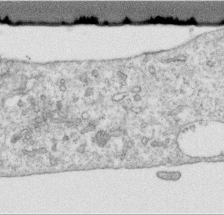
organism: Human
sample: Centriole in RPE cells